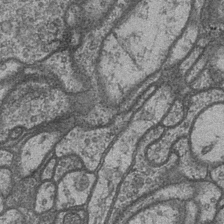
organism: Drosophila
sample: Optic medulla